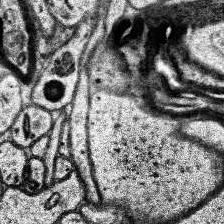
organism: Human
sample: Temporal Lobe